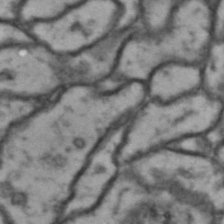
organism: Drosophila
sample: Brain